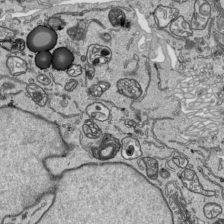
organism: Human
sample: Mitochondria in HCT116 cells